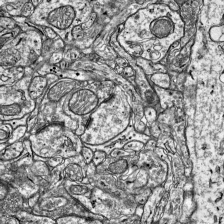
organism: Mouse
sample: Visual Cortex